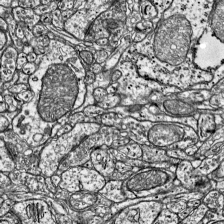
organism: Mouse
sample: Visual Cortex